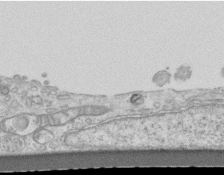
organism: Mouse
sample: Centriole in ependymal cells